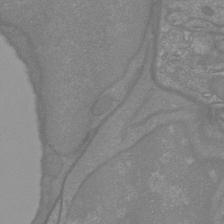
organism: Mouse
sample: Cortical neurons